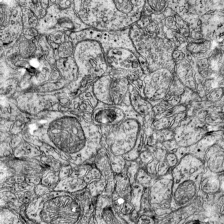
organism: Mouse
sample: Visual Cortex